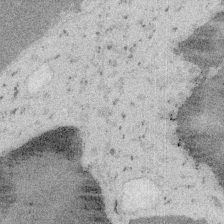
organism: Embia sp.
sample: Silk gland